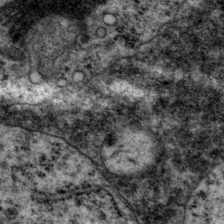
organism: P. pacificus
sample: Pharynx